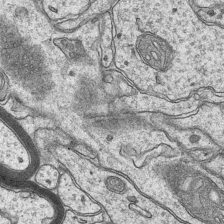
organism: Mouse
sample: CA1 Hippocampus